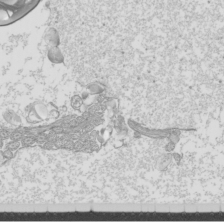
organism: Mouse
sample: Cilia; mouse epididymis